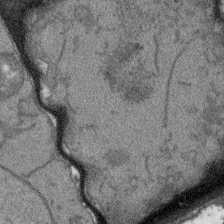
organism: Arabidopsis thaliana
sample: Root tip